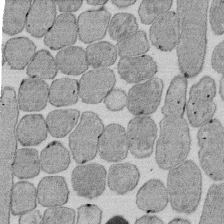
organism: E. coli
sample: Bacterial nucleoid